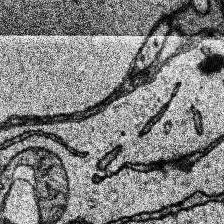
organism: Human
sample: Temporal Lobe